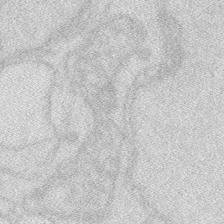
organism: Zebrafish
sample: Macrophage